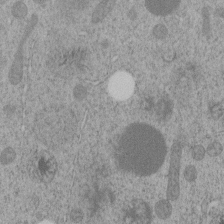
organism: C. elegans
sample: C. elegans embryo early stage